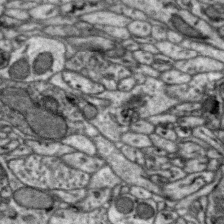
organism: Zebra finch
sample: Brain